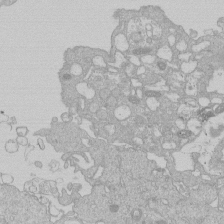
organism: Human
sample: Macrophage cells